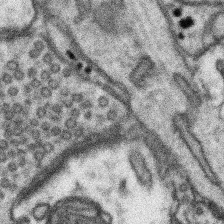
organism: Mouse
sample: Somatosensory cortex neuropil